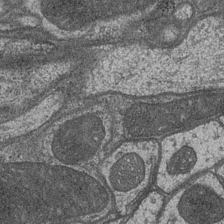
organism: Drosophila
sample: Optic medulla